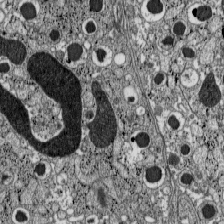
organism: C57BL Mouse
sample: Pancreatic islet